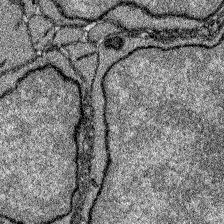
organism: Zebrafish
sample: Larval olfactory bulb